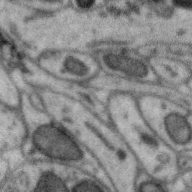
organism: Zebra finch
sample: Brain